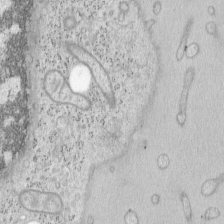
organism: Mouse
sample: OT-I killer T cells with ID8 ovarian cancer cells